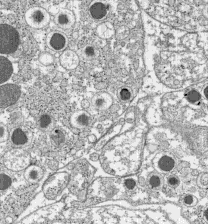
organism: C57BL Mouse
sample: Pancreatic islet